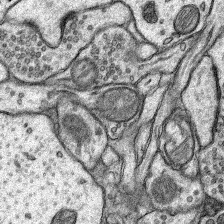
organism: Rat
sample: Hippocampus